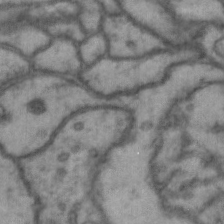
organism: Drosophila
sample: Brain